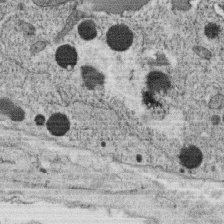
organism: C. elegans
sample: C. elegans oocyte; sperm cells